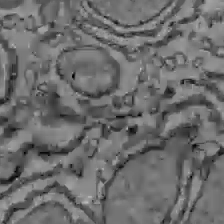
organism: C57BL Mouse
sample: Liver